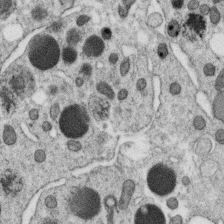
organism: C. elegans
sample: C. elegans oocyte; sperm cells